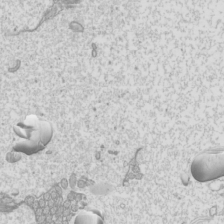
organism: Mouse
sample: Cilia; mouse epididymis